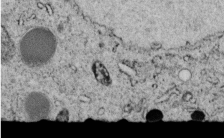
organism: C. elegans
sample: C. elegans embryo early stage